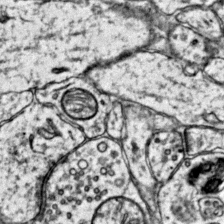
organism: Mouse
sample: Primary visual cortex